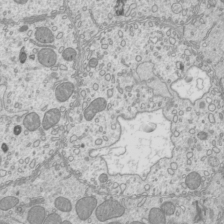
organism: Mouse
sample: Cilia; mouse epididymis